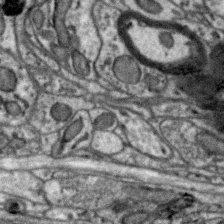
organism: Zebra finch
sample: Brain